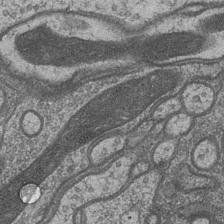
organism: Drosophila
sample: Optic medulla